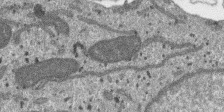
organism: Human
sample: Lung epithelial cells infected with SARS-CoV-2